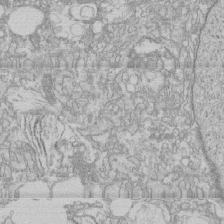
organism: Human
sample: CRL-1474